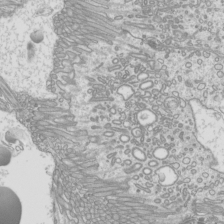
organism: Mouse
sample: Cilia; mouse epididymis